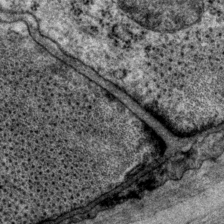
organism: P. pacificus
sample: Pharynx